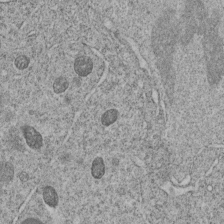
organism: C. elegans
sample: C. elegans embryo early stage